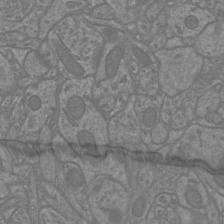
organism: Mouse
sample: Cortical neurons